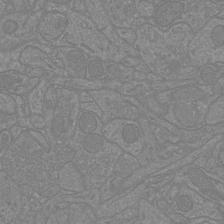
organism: Mouse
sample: Cortical neurons